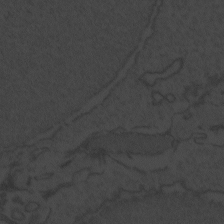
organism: Zebrafish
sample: Macrophage infected with Toxoplasma gondii